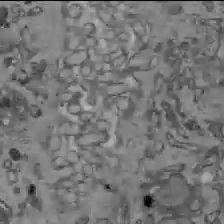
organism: C57BL Mouse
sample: Liver